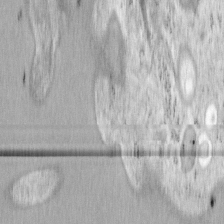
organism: Human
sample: HeLa cells